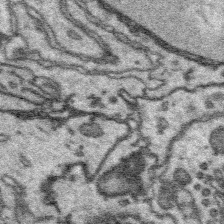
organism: Platynereis dumerilii